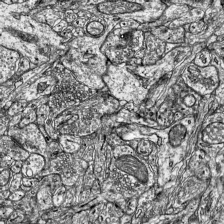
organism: Mouse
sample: Visual Cortex